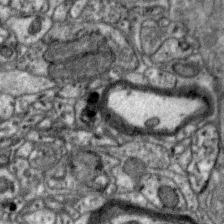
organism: Zebra finch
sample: Brain